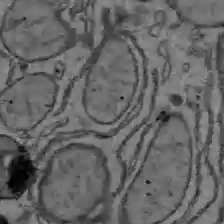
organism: C57BL Mouse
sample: Liver